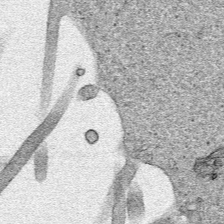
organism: Human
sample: Mitochondria in HCT116 cells